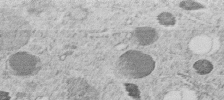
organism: C. elegans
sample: C. elegans embryo early stage